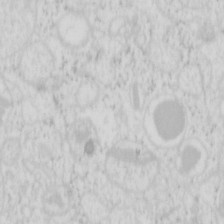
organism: Mouse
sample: Pancreas